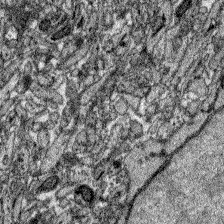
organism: Zebrafish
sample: Larval olfactory bulb